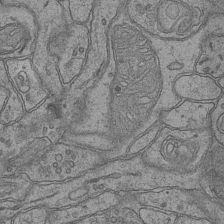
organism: Mouse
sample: CA1 Hippocampus